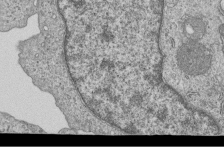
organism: Human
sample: MDA-MB-231 cells